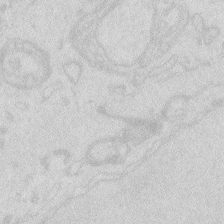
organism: Zebrafish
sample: Macrophage